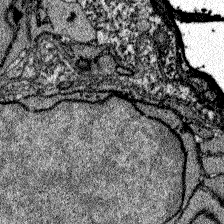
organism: Zebrafish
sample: Larval olfactory bulb